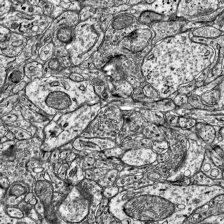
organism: Mouse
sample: Visual Cortex